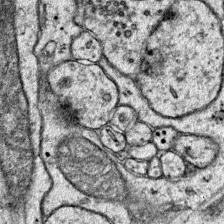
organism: Mouse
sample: Primary visual cortex